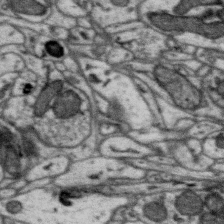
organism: Zebra finch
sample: Brain